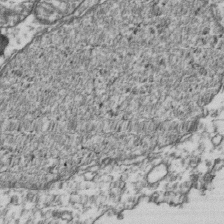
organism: Human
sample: Activated Jurkat CD4+ T cells